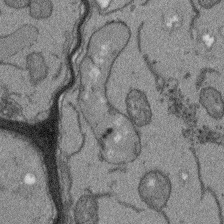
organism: Arabidopsis thaliana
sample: Root tip